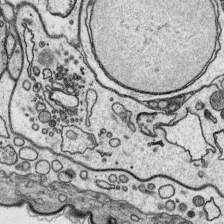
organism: Platynereis dumerilii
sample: Parapodia